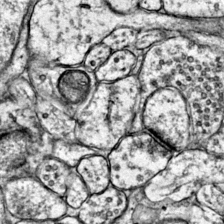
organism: Mouse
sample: Primary visual cortex